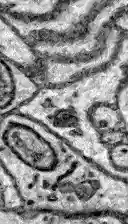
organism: Zebrafish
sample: Brain